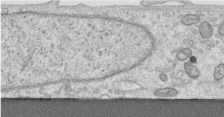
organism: Human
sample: Centriole in RPE cells